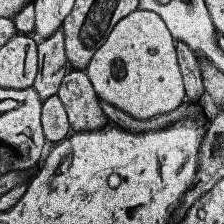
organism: Human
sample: Temporal Lobe